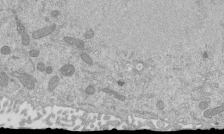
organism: Mouse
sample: ED-1 cell nuclei; centrioles